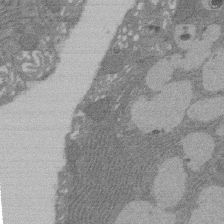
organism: Rat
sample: Salivary granule